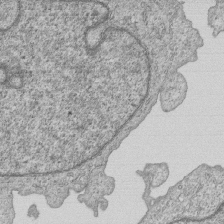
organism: Human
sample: MDA-MB-231 cells